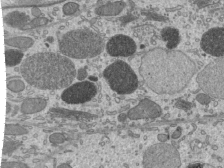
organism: Mouse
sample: Mouse epididymis efferent ductule cilia